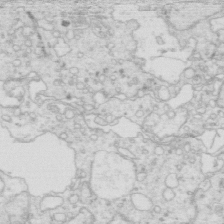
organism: Mouse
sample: Multiciliated cells